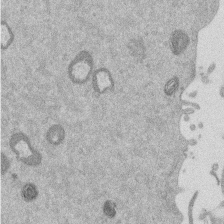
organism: Mouse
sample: Dividing mouse embryo 1 cell stage